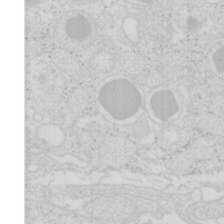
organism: Mouse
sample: Pancreas